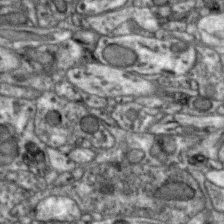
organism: Zebra finch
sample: Brain